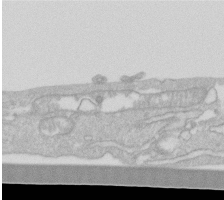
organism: Human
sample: Fibroblast cells